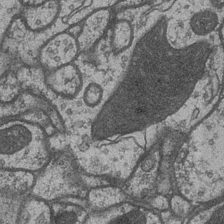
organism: Drosophila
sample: Optic medulla